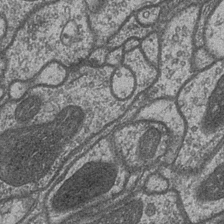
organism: Drosophila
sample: Optic medulla